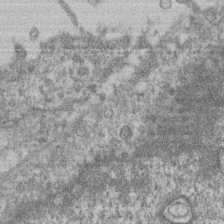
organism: Mouse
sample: T cell stromal cell synapse